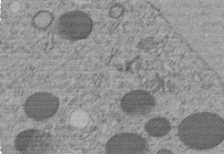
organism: C. elegans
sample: C. elegans embryo early stage